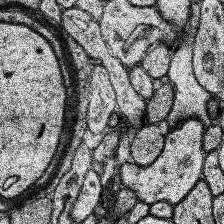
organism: Human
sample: Temporal Lobe